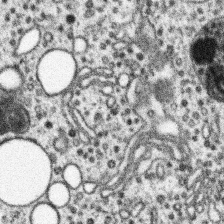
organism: Human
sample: HeLa cells